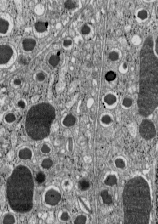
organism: C57BL Mouse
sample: Pancreatic islet